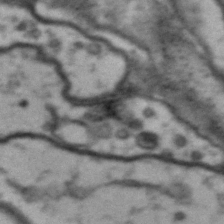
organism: Drosophila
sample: Brain